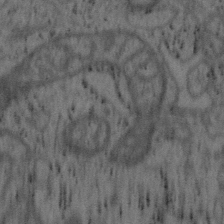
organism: Human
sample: HeLa cells